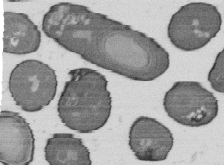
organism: B. subtilis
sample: Bacterial spore